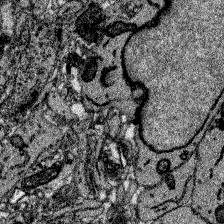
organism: Zebrafish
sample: Larval olfactory bulb